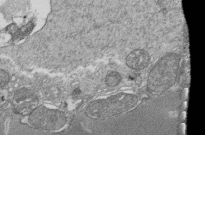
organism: Tetrahymena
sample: Cilia in tetrahymena